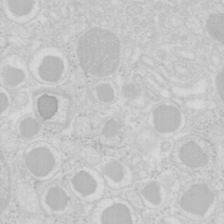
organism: Mouse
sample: Pancreas